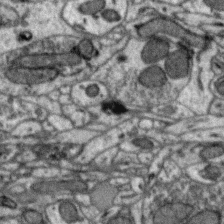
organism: Zebra finch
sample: Brain